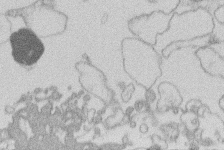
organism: Human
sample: Macrophage cells